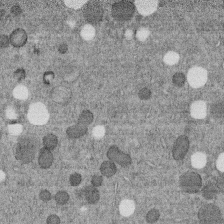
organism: C. elegans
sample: C. elegans embryo early stage